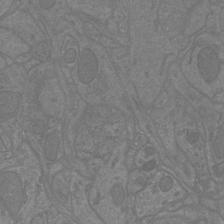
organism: Mouse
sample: Cortical neurons